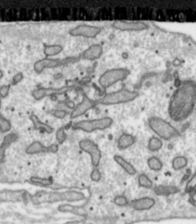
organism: Toxoplasma gondii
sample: Parasites in a vacuole inside a host cell